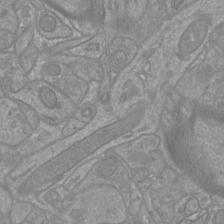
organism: Mouse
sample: Cortical neurons